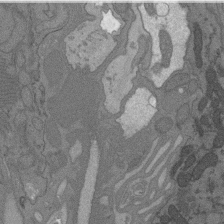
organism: C. elegans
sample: AFD neurons C. elegans